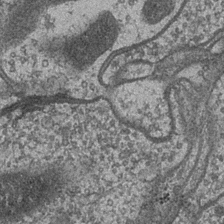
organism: Drosophila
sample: Optic medulla